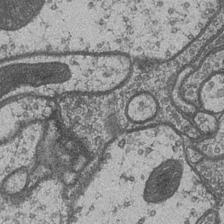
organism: Drosophila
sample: Optic medulla